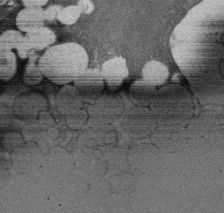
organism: Rat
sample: Salivary granule